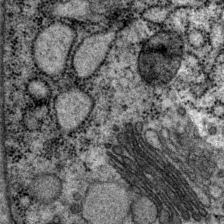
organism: P. pacificus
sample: Pharynx